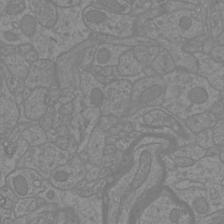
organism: Mouse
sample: Cortical neurons